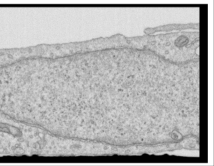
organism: Human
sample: Centriole in RPE cells